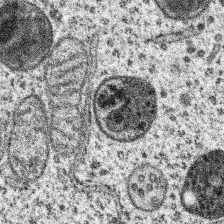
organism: Human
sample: HeLa cells